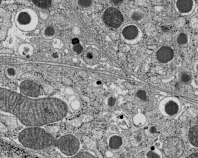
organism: C57BL Mouse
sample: Pancreatic islet